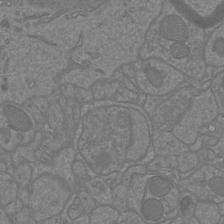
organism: Mouse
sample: Cortical neurons